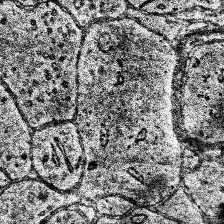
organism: Human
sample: Temporal Lobe